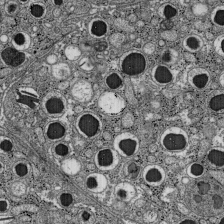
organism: C57BL Mouse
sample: Pancreatic islet